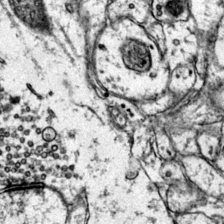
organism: Mouse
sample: Primary visual cortex